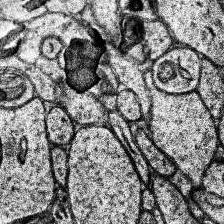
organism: Human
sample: Temporal Lobe